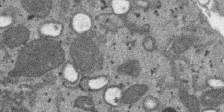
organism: Human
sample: Lung epithelial cells infected with SARS-CoV-2